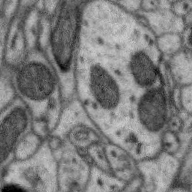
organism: Zebra finch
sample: Brain